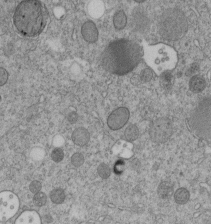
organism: C. elegans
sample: C. elegans embryo early stage